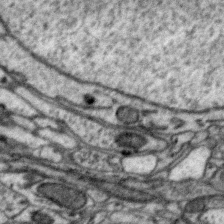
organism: Zebra finch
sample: Brain